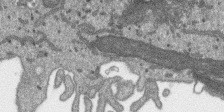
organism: Human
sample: Lung epithelial cells infected with SARS-CoV-2